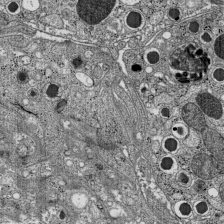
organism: C57BL Mouse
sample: Pancreatic islet